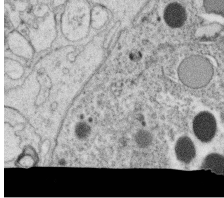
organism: C. elegans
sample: C. elegans oocyte; sperm cells